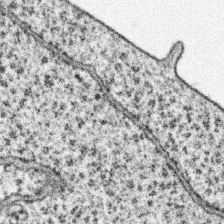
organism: Human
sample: HeLa cells